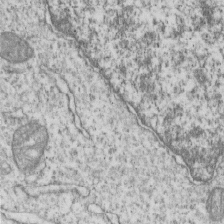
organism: Human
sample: MDA-MB-231 cells